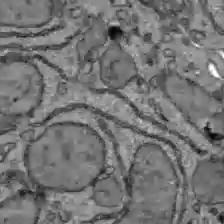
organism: C57BL Mouse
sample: Liver